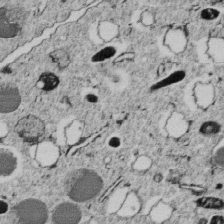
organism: C. elegans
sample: C. elegans embryo early stage